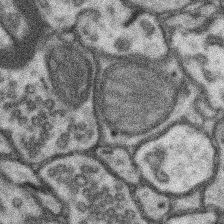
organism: Mouse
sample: Somatosensory cortex neuropil